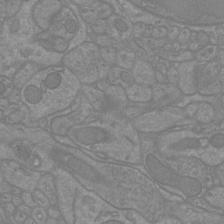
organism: Mouse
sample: Cortical neurons